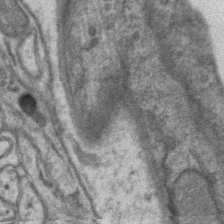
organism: Mouse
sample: CA1 Hippocampus